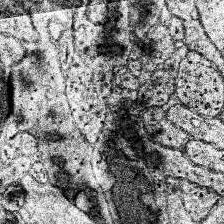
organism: Human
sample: Temporal Lobe